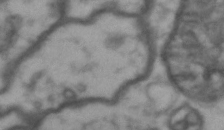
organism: Drosophila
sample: Brain